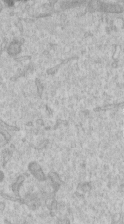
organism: Human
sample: Centriole in RPE cells